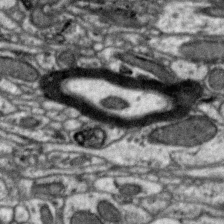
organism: Zebra finch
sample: Brain